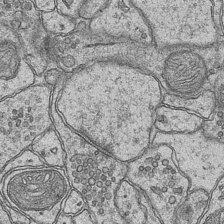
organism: Mouse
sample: CA1 Hippocampus